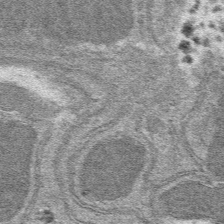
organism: Mouse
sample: Mouse hepatocytes